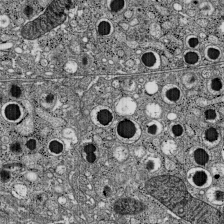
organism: C57BL Mouse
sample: Pancreatic islet